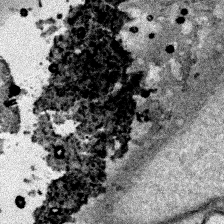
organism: Human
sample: Mitochondria in HCT116 cells